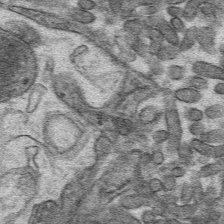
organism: Mouse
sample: Mouse hepatocytes